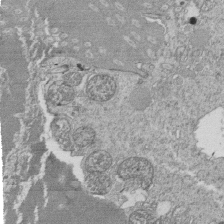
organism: Tetrahymena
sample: Cilia in tetrahymena